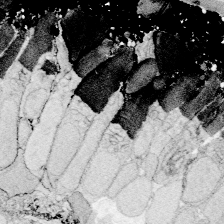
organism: Zebrafish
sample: Whole-Brain